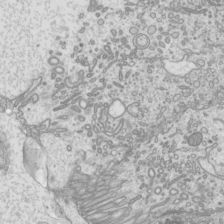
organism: Mouse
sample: Cilia; mouse epididymis